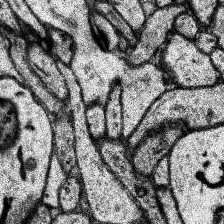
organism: Human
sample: Temporal Lobe